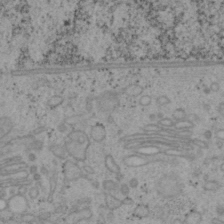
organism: Human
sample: HeLa cells